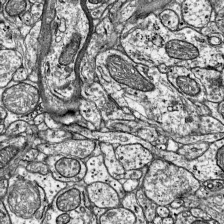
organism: Mouse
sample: Visual Cortex